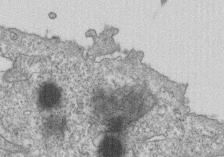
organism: Human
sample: HeLa cell HIV synapse